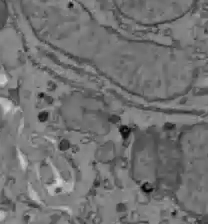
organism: C57BL Mouse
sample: Liver